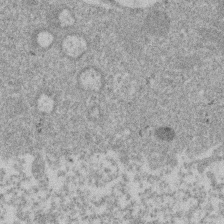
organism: Mouse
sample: Dividing mouse embryo 1 cell stage